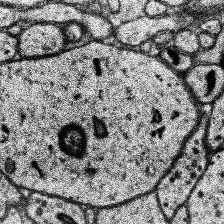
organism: Human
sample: Temporal Lobe